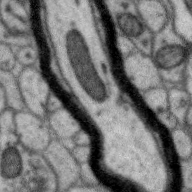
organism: Zebra finch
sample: Brain